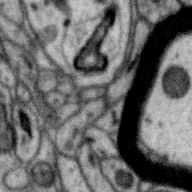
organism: Zebra finch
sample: Brain